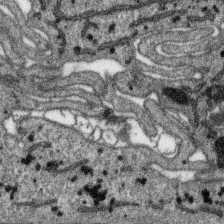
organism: Human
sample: Lung epithelial cells infected with SARS-CoV-2